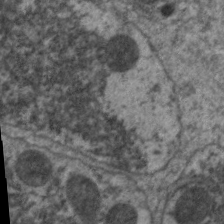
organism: C. elegans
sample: Pharynx